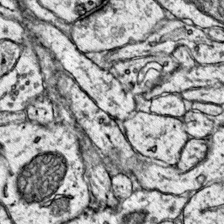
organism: Mouse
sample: Primary visual cortex